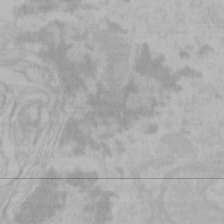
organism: Mouse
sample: Choroid plexus